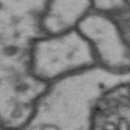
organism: Drosophila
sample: Brain